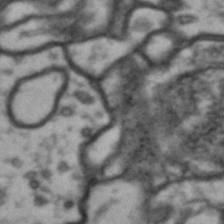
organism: Drosophila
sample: Brain